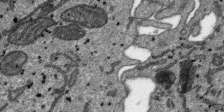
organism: Human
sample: Lung epithelial cells, uninfected (mock) control